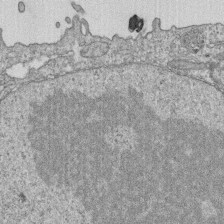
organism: Human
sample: HeLa cell HIV synapse